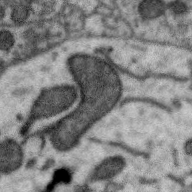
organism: Zebra finch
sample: Brain